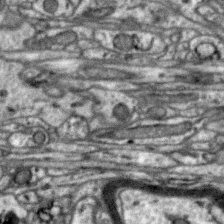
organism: Zebra finch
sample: Brain